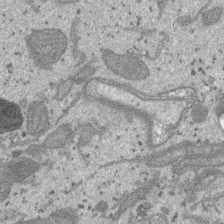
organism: Human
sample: Lung epithelial cells infected with SARS-CoV-2